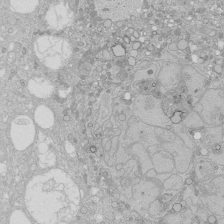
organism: Human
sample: Caco-2 cells